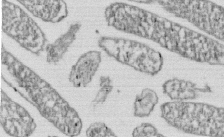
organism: E. coli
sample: Bacterial nucleoid